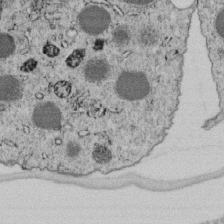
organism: C. elegans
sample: C. elegans embryo early stage